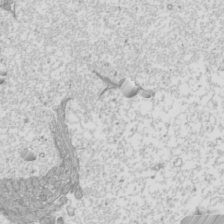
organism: Mouse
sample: Cilia; mouse epididymis